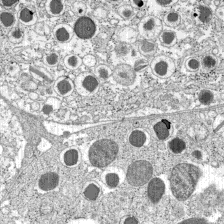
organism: C57BL Mouse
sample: Pancreatic islet